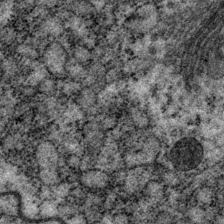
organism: P. pacificus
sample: Pharynx